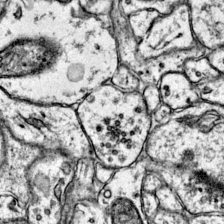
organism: Mouse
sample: Primary visual cortex